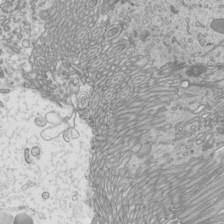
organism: Mouse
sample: Cilia; mouse epididymis